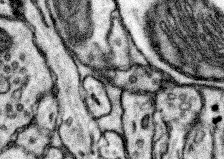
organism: Mouse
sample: Somatosensory cortex neuropil